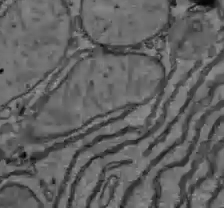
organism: C57BL Mouse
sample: Liver